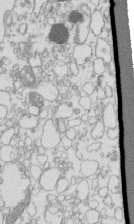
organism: Mouse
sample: Macrophages